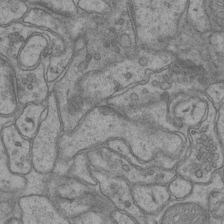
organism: Mouse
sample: CA1 Hippocampus